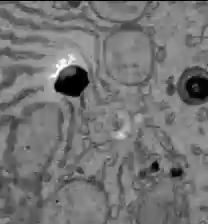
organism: C57BL Mouse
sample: Liver